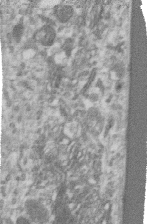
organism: Human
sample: Centriole in RPE cells